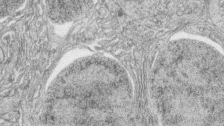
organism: Zebrafish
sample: synaptic ribbons in rod cells and cone cells